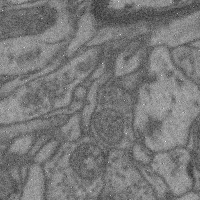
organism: Mouse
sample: Cerebral cortex